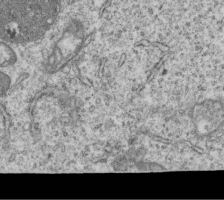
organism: Human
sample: MDA-MB-231 cells